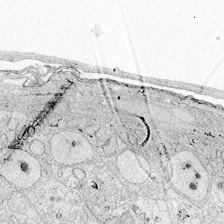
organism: Zebrafish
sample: Whole-Brain